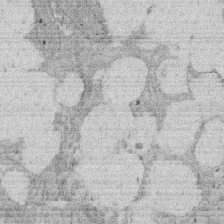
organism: Rat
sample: Salivary granule